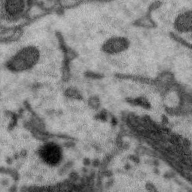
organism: Zebra finch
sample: Brain